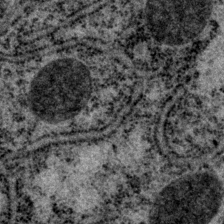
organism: P. pacificus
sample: Pharynx